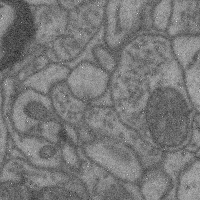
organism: Mouse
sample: Cerebral cortex